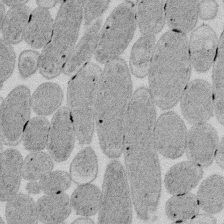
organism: E. coli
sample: Bacterial nucleoid